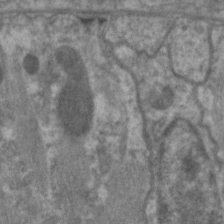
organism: C. elegans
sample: Pharynx